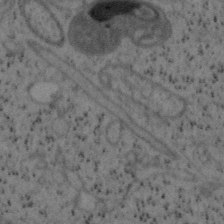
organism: Human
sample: HeLa cells